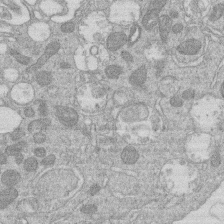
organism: Human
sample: Macrophage cells